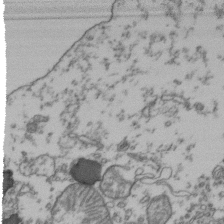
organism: Human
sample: Activated Jurkat CD4+ T cells